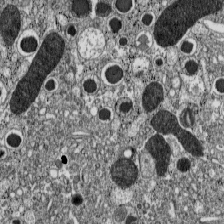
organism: C57BL Mouse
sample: Pancreatic islet